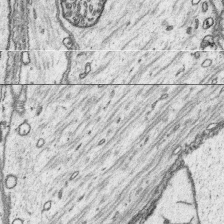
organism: Platynereis dumerilii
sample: Parapodia